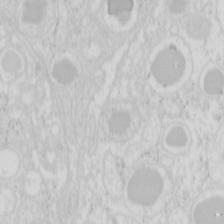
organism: Mouse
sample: Pancreas